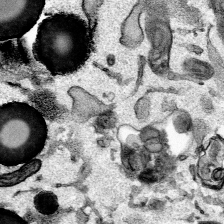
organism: Mouse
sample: Cancer cell death in ED-1 cells